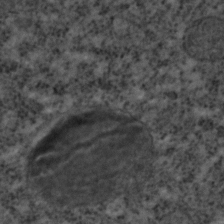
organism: C. elegans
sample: C. elegans embryo